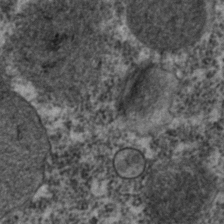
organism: C. elegans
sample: C. elegans embryo